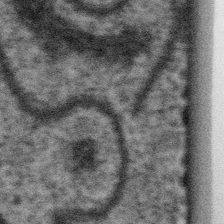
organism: Gemmata obscuriglobus